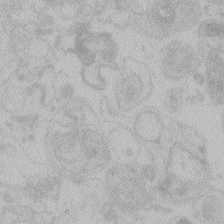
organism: Zebrafish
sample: Macrophage infected with Toxoplasma gondii